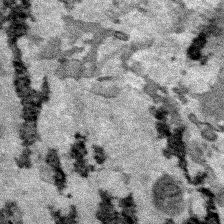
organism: Human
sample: Mitochondria in HCT116 cells